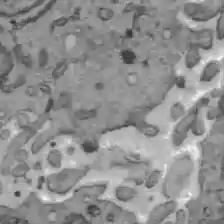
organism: C57BL Mouse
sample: Liver